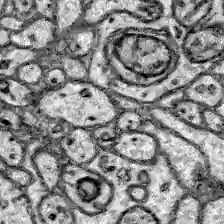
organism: Zebrafish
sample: Brain